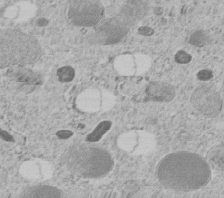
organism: C. elegans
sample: C. elegans embryo early stage